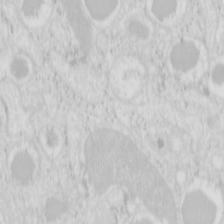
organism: Mouse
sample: Pancreas